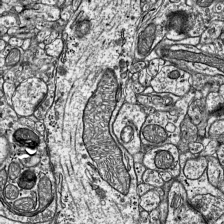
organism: Mouse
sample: Visual Cortex